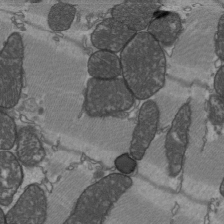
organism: C57BL Mouse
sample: Heart